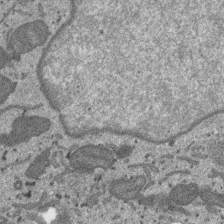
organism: Human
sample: Lung epithelial cells infected with SARS-CoV-2